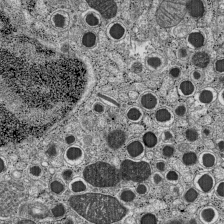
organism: C57BL Mouse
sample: Pancreatic islet